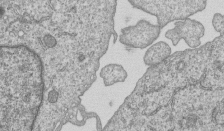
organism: Human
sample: MDA-MB-231 cells